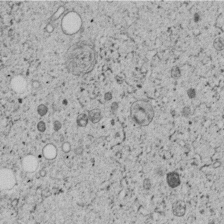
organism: C. elegans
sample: C. elegans embryo early stage